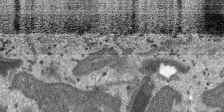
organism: Human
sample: Lung epithelial cells infected with SARS-CoV-2